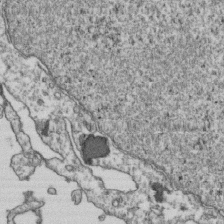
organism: Human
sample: Activated Jurkat CD4+ T cells